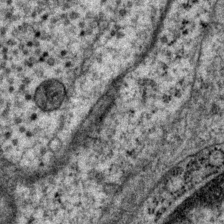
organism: P. pacificus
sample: Pharynx